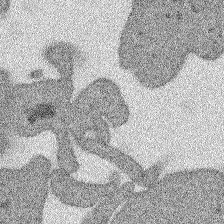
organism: Human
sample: HeLa cells